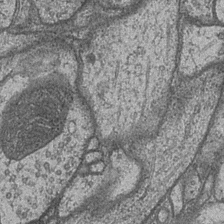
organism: Drosophila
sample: Optic medulla